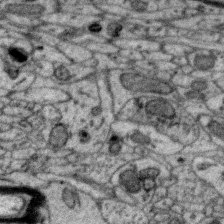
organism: Zebra finch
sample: Brain